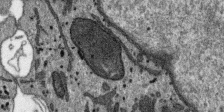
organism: Human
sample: Lung epithelial cells, uninfected (mock) control